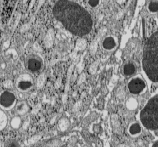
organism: C57BL Mouse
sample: Pancreatic islet